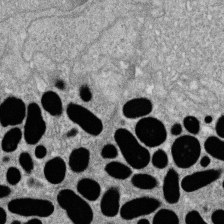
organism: Zebrafish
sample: Cilia; retinal pigment epithelium